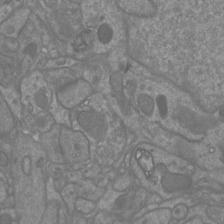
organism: Mouse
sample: Cortical neurons